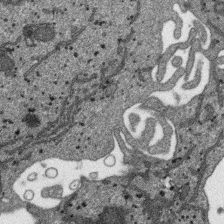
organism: Human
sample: Lung epithelial cells infected with SARS-CoV-2